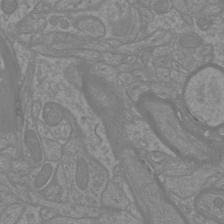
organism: Mouse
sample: Cortical neurons